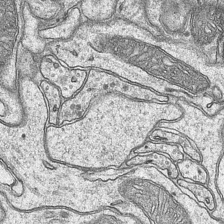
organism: Mouse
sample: CA1 Hippocampus